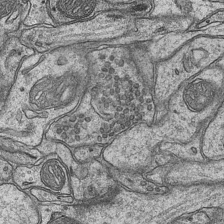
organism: Mouse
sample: CA1 Hippocampus